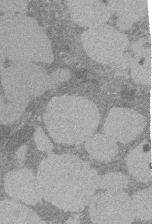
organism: Rat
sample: Salivary granule